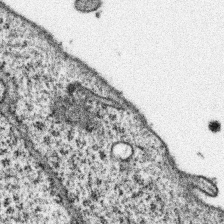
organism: Human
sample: HeLa cells